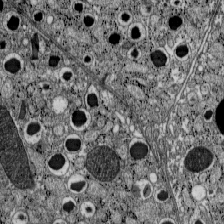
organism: C57BL Mouse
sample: Pancreatic islet